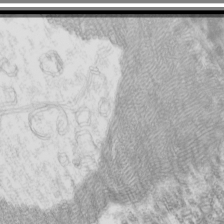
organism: Mouse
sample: Cilia; mouse epididymis